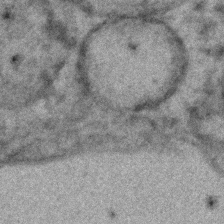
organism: C. elegans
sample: C. elegans embryo